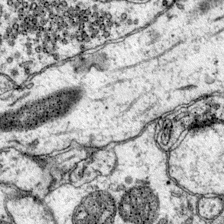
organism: Mouse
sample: Primary visual cortex